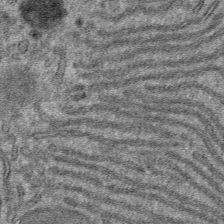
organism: Mouse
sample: Mouse hepatocytes